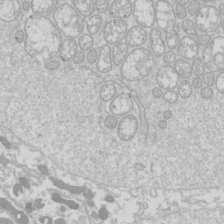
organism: Drosophila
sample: Cell division; meiosis; drosophila spermatocytes